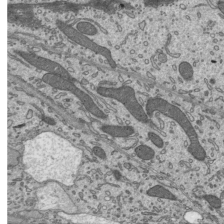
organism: Mouse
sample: Mouse epididymis efferent ductule cilia